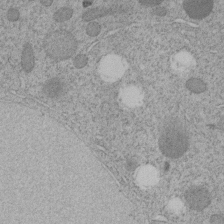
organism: C. elegans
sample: C. elegans embryo early stage